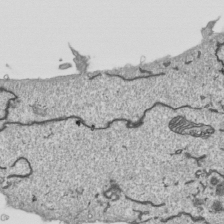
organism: Human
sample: Mitochondria in HCT116 cells